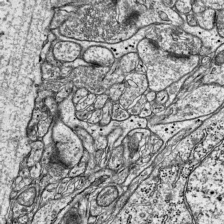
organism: Mouse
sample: Visual Cortex